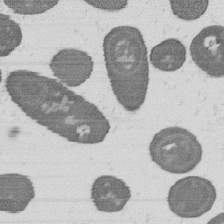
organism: B. subtilis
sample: Bacterial spore